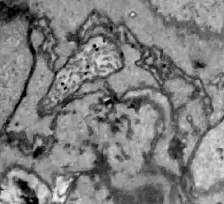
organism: Zebrafish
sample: Actinotrichia fibers